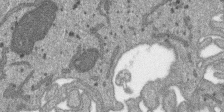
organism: Human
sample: Lung epithelial cells infected with SARS-CoV-2